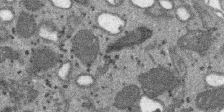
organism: Human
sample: Lung epithelial cells infected with SARS-CoV-2